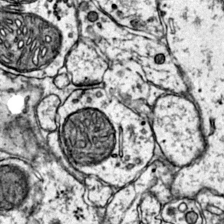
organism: Mouse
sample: Primary visual cortex